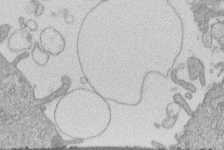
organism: Human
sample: Macrophage cells